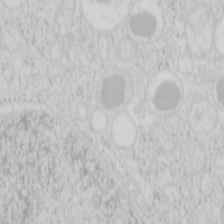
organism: Mouse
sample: Pancreas